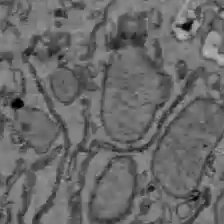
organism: C57BL Mouse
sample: Liver